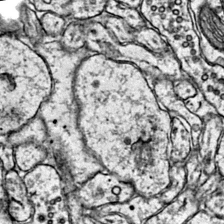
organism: Mouse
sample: Primary visual cortex